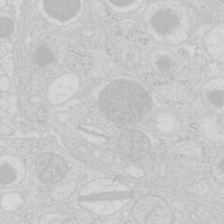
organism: Mouse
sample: Pancreas